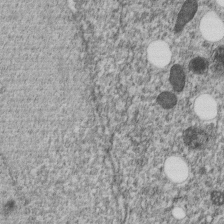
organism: C. elegans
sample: C. elegans embryo early stage